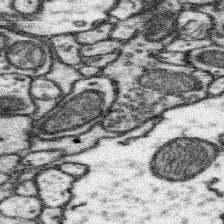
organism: Mouse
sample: Somatosensory cortex neuropil